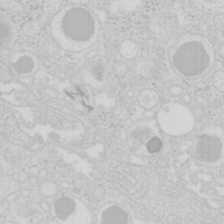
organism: Mouse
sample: Pancreas